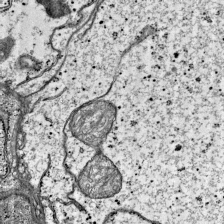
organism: Mouse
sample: Visual Cortex